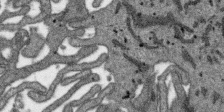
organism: Human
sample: Lung epithelial cells, uninfected (mock) control